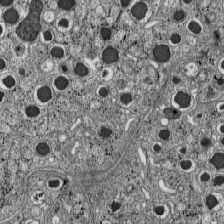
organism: C57BL Mouse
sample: Pancreatic islet